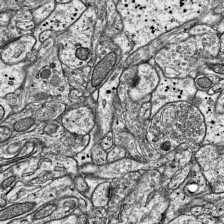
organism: Mouse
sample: Visual Cortex